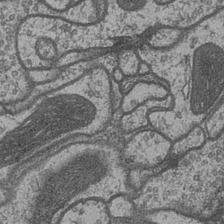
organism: Drosophila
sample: Optic medulla